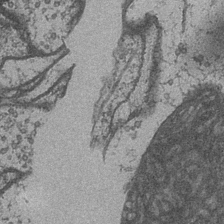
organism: Drosophila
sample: Optic medulla